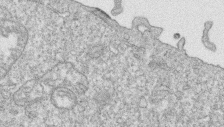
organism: Human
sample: HeLa cell HIV synapse